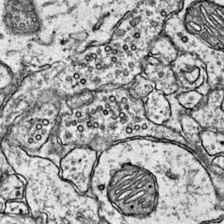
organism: Mouse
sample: Primary visual cortex